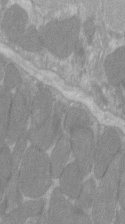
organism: C57BL Mouse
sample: Tibialis anterior muscle cell